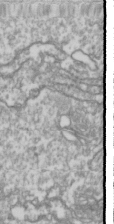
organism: Drosophila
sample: Cell division; meiosis; drosophila spermatocytes